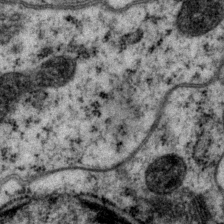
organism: P. pacificus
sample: Pharynx